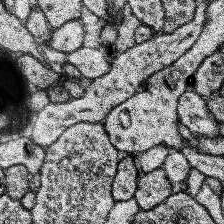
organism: Human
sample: Temporal Lobe